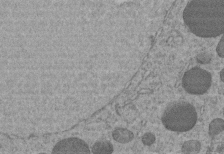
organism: C. elegans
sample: C. elegans embryo early stage